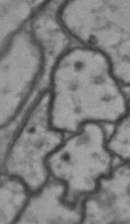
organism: Drosophila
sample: Brain